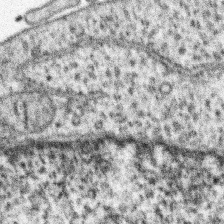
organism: Human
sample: HeLa cells